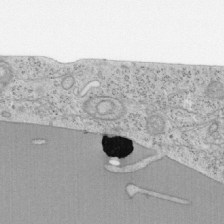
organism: Human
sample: HeLa cells